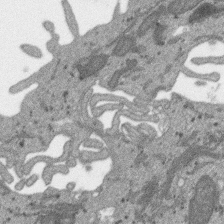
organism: Human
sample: Lung epithelial cells infected with SARS-CoV-2